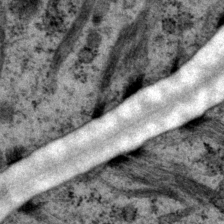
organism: P. pacificus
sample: Pharynx